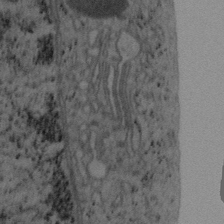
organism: Human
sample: HeLa cells